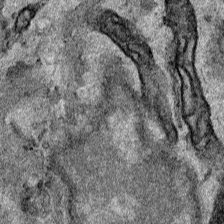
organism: Human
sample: Mitochondria in HCT116 cells